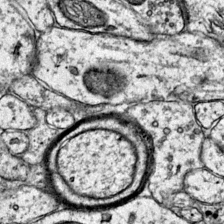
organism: Mouse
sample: Primary visual cortex